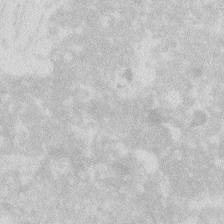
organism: Zebrafish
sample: Macrophage